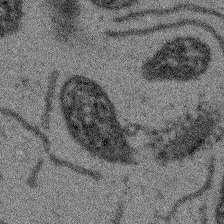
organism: Arabidopsis thaliana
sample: Root tip